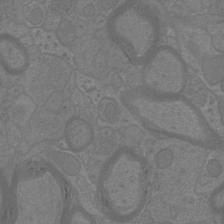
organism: Mouse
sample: Cortical neurons